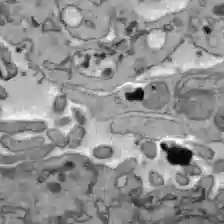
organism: C57BL Mouse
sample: Liver